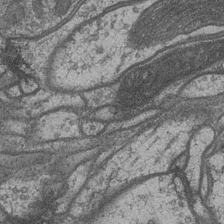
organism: Drosophila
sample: Optic medulla